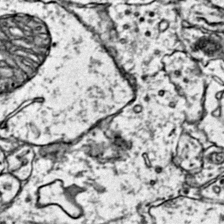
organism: Mouse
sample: Primary visual cortex